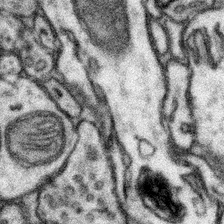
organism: Mouse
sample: Somatosensory cortex neuropil